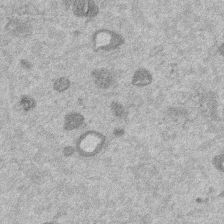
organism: Mouse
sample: Dividing mouse embryo 1 cell stage